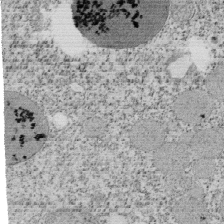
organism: Tetrahymena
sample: Cilia in tetrahymena